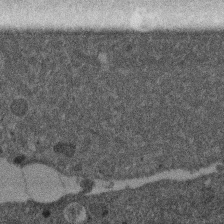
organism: Mouse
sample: Dividing mouse embryo 1 cell stage